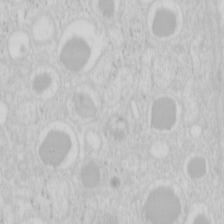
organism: Mouse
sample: Pancreas